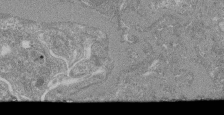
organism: Mouse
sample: Glomerulus